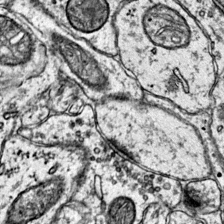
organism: Mouse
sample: Primary visual cortex